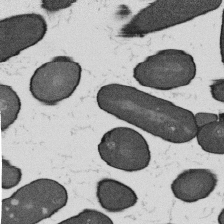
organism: B. subtilis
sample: Bacterial spore